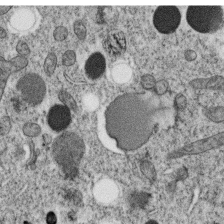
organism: C. elegans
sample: C. elegans oocyte; sperm cells